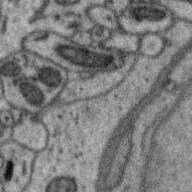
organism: Zebra finch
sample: Brain